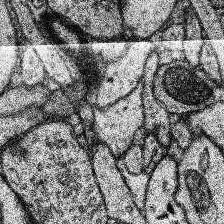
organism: Human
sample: Temporal Lobe